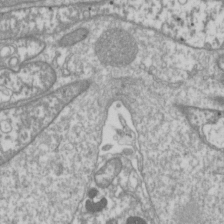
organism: Drosophila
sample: Cell division; meiosis; drosophila spermatocytes